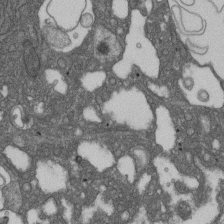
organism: Drosophila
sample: Nephrocyte